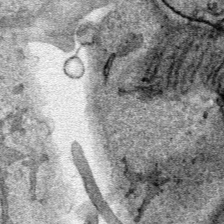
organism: Human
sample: Mitochondria in HCT116 cells